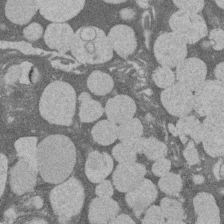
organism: Rat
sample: Salivary granule